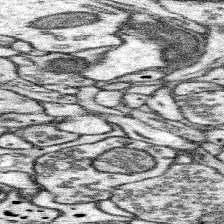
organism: Mouse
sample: Somatosensory cortex neuropil